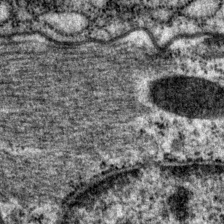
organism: P. pacificus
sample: Pharynx